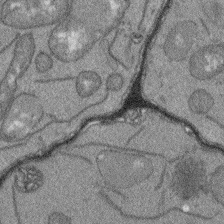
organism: Arabidopsis thaliana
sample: Root tip